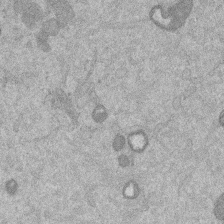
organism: Mouse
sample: Dividing mouse embryo 1 cell stage